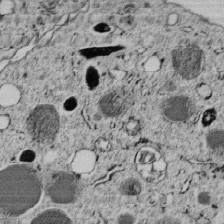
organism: C. elegans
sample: C. elegans embryo early stage